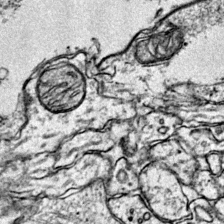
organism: Mouse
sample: Primary visual cortex